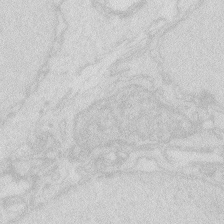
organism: Zebrafish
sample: Macrophage